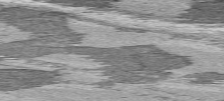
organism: C57BL Mouse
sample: Heart